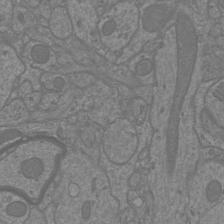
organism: Mouse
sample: Cortical neurons